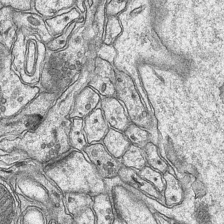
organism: Mouse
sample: CA1 Hippocampus